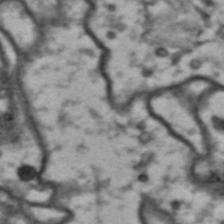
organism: Drosophila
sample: Brain